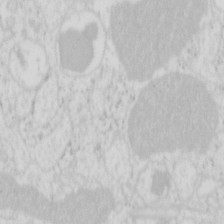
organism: Mouse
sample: Pancreas